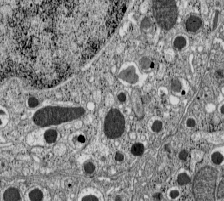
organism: C57BL Mouse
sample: Pancreatic islet